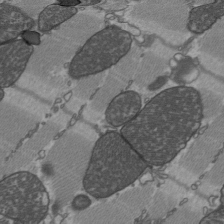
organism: C57BL Mouse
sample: Heart